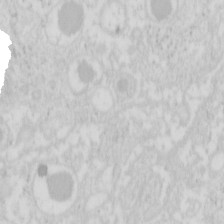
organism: Mouse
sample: Pancreas